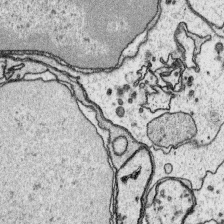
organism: Platynereis dumerilii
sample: Parapodia